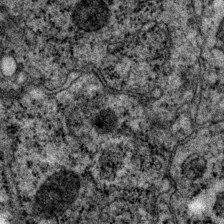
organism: P. pacificus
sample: Pharynx